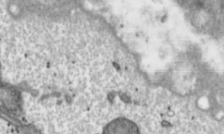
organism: Toxoplasma gondii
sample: Parasites in a vacuole inside a host cell